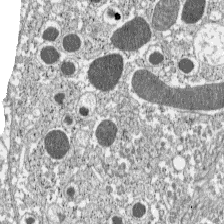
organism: C57BL Mouse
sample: Pancreatic islet